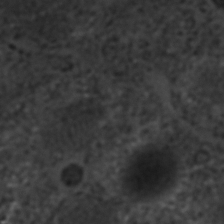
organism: C. elegans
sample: C. elegans embryo